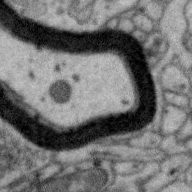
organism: Zebra finch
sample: Brain